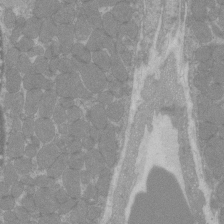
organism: C57BL Mouse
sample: Tibialis anterior muscle cell